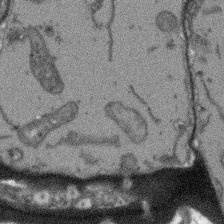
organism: Arabidopsis thaliana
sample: Root tip